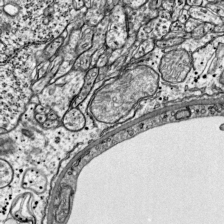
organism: Mouse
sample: Visual Cortex